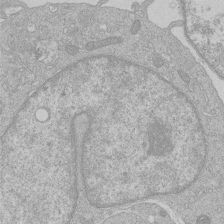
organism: Human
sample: Macrophage cells